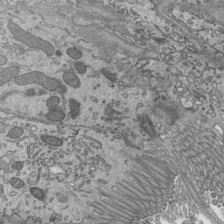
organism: Mouse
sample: Mouse epididymis efferent ductule cilia